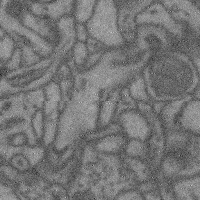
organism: Mouse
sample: Cerebral cortex